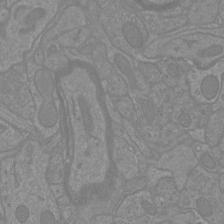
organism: Mouse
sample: Cortical neurons